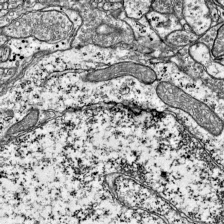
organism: Mouse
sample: Visual Cortex